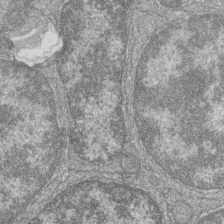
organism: Zebrafish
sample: Cilia; retinal pigment epithelium